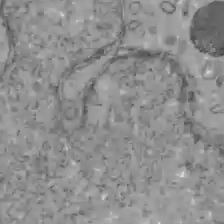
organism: C57BL Mouse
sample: Liver